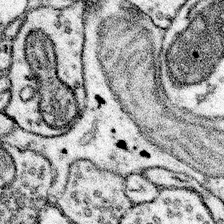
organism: Mouse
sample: Somatosensory cortex neuropil